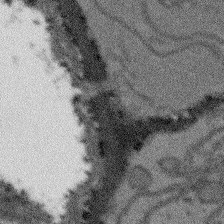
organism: Arabidopsis thaliana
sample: Root tip